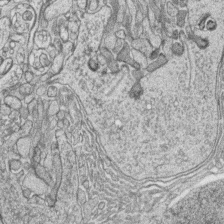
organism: Zebrafish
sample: synaptic ribbons in rod cells and cone cells